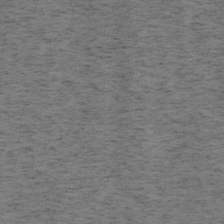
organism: Mouse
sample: OT-I killer T cells with ID8 ovarian cancer cells